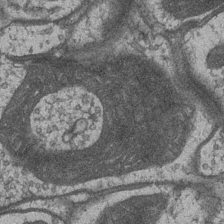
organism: Drosophila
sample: Optic medulla